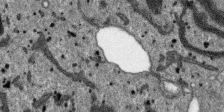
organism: Human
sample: Lung epithelial cells, uninfected (mock) control